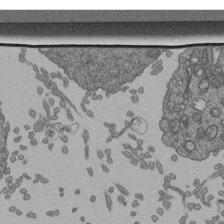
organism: Human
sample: Retinal organoid Rod and Cone cells